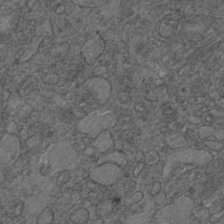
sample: Trachea